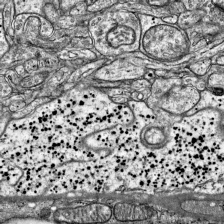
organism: Mouse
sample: Visual Cortex